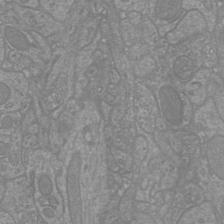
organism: Mouse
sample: Cortical neurons